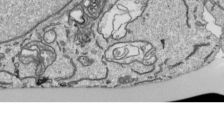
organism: Human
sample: Mitochondria in HCT116 cells